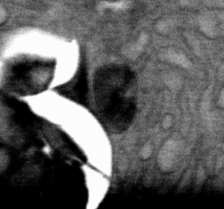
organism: Mouse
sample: Mouse Salivary gland